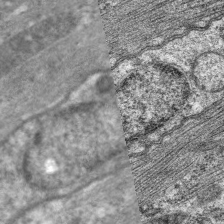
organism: C. elegans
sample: Pharynx